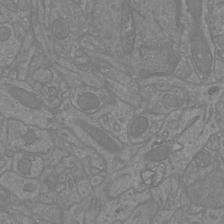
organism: Mouse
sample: Cortical neurons